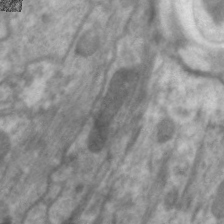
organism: C. elegans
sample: Pharynx